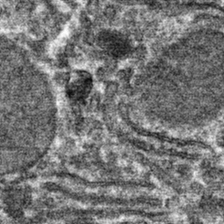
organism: Mouse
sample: Mouse hepatocytes